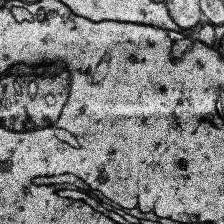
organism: Human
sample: Temporal Lobe